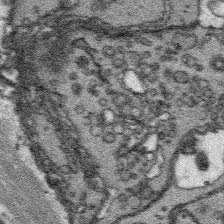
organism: Platynereis dumerilii